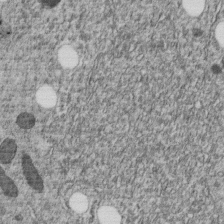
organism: C. elegans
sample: C. elegans embryo early stage